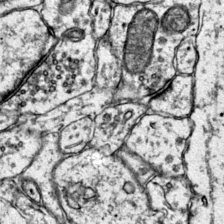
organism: Mouse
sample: Primary visual cortex